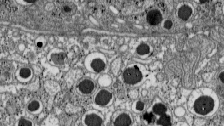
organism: C57BL Mouse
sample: Pancreatic islet